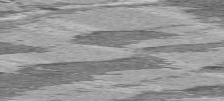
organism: C57BL Mouse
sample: Heart